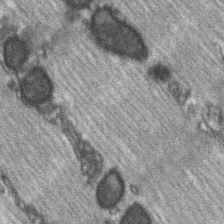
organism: C57BL Mouse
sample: Soleus